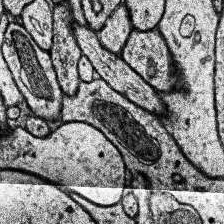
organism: Human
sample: Temporal Lobe